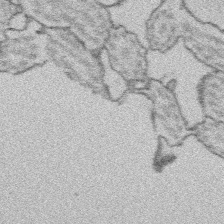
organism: Platynereis dumerilii